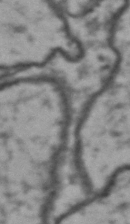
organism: Drosophila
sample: Brain